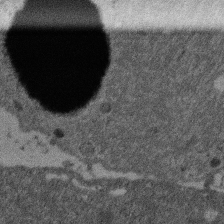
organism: Mouse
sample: Dividing mouse embryo 1 cell stage